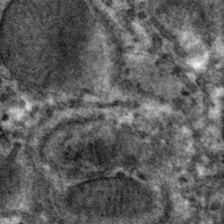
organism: Mouse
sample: Mouse hepatocytes